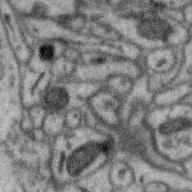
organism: Zebra finch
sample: Brain